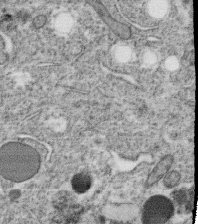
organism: C. elegans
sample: C. elegans oocyte; sperm cells